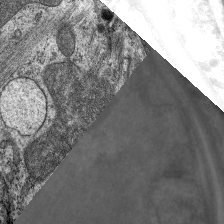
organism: C. elegans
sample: Pharynx